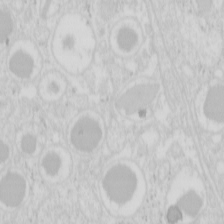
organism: Mouse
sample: Pancreas